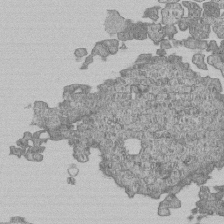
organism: Human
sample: MDA-MB-231 cells